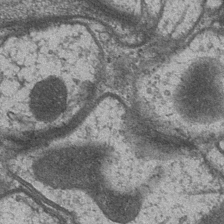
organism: Drosophila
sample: Optic medulla